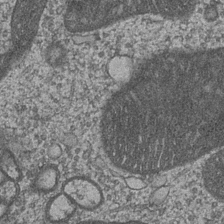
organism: Drosophila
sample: Optic medulla